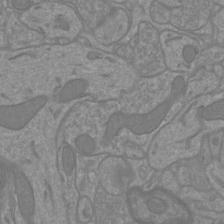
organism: Mouse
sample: Cortical neurons